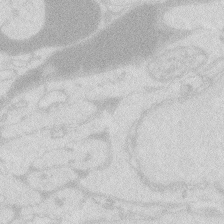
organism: Zebrafish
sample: Macrophage